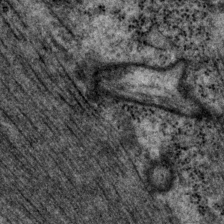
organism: P. pacificus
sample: Pharynx